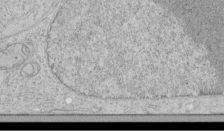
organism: Human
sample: Mitochondria in HCT116 cells